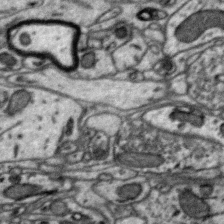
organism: Zebra finch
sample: Brain